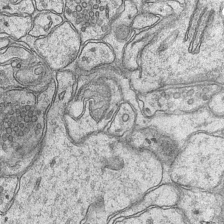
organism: Mouse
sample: CA1 Hippocampus